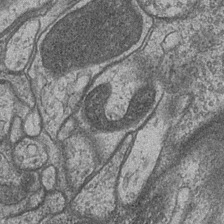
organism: Drosophila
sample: Optic medulla